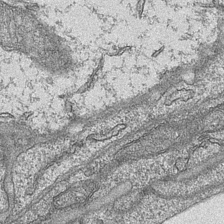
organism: Mouse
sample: CA1 Hippocampus